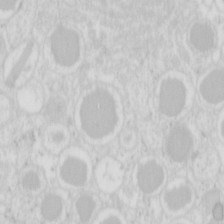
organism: Mouse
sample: Pancreas